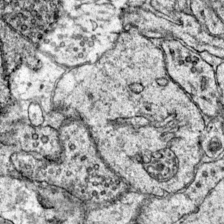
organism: Mouse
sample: Primary visual cortex